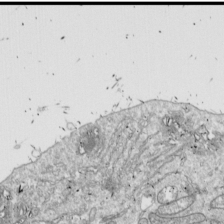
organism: Drosophila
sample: Cell division; meiosis; drosophila spermatocytes